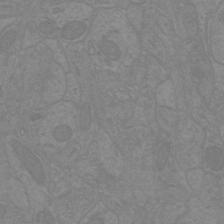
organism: Mouse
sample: Cortical neurons